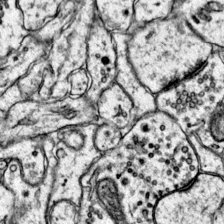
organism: Mouse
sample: Primary visual cortex